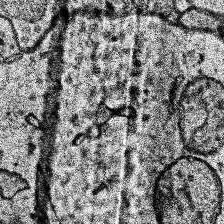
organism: Human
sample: Temporal Lobe